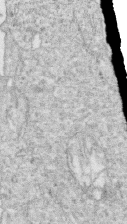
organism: Human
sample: HeLa cell HIV synapse